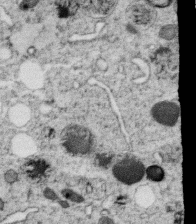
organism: C. elegans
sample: C. elegans oocyte; sperm cells